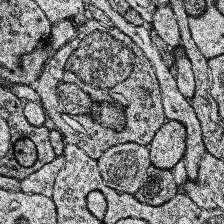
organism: Human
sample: Temporal Lobe